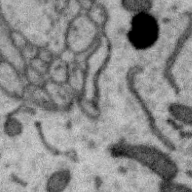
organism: Zebra finch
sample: Brain